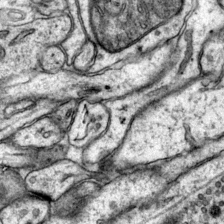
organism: Mouse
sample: Primary visual cortex